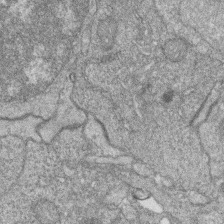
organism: Zebrafish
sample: Cilia; retinal pigment epithelium